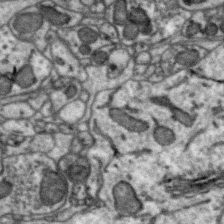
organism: Zebra finch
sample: Brain